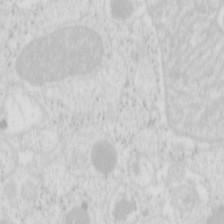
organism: Mouse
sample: Pancreas